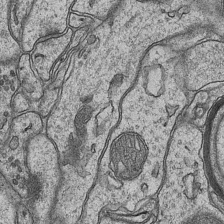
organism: Mouse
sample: CA1 Hippocampus